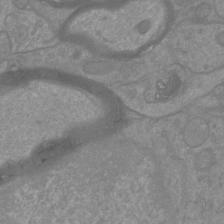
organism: Mouse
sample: Cortical neurons